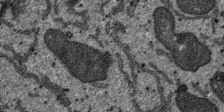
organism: Human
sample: Lung epithelial cells infected with SARS-CoV-2